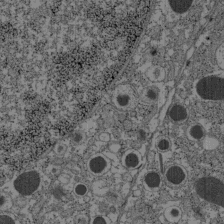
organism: C57BL Mouse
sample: Pancreatic islet